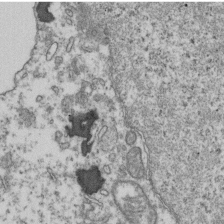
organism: Human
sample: Activated Jurkat CD4+ T cells